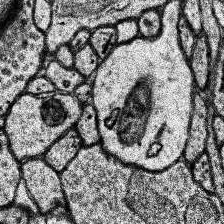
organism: Human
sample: Temporal Lobe